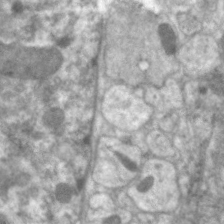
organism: C. elegans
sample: Pharynx